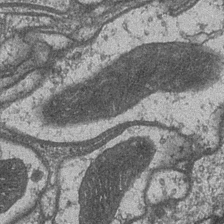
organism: Drosophila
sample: Optic medulla